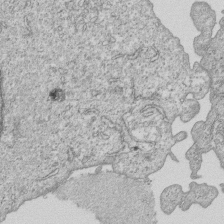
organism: Human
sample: MDA-MB-231 cells